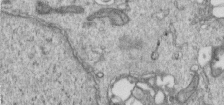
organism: Human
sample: Centriole in RPE cells